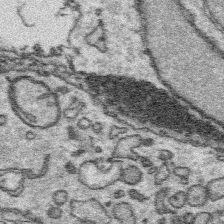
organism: Platynereis dumerilii